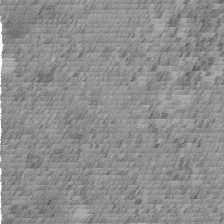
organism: C. elegans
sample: C. elegans embryo early stage